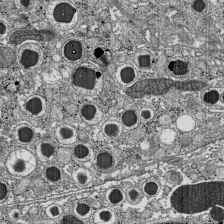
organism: C57BL Mouse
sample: Pancreatic islet